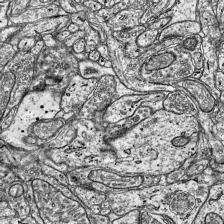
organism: Mouse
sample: Visual Cortex